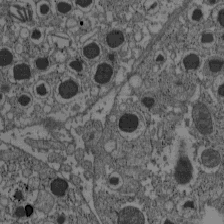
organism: C57BL Mouse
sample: Pancreatic islet